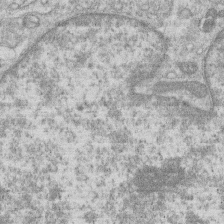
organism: Human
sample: Macrophage cells